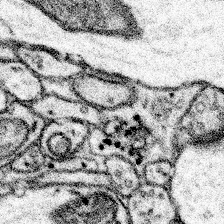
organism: Mouse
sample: Somatosensory cortex neuropil